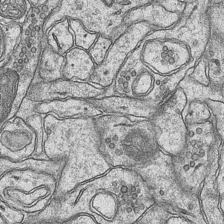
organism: Mouse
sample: CA1 Hippocampus